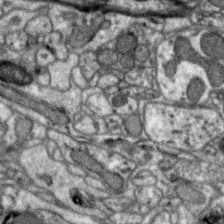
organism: Zebra finch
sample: Brain